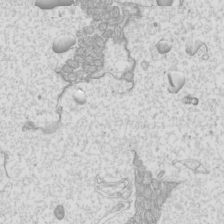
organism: Mouse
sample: Cilia; mouse epididymis